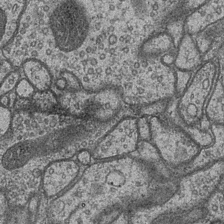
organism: Drosophila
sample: Optic medulla